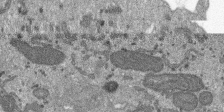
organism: Human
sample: Lung epithelial cells infected with SARS-CoV-2